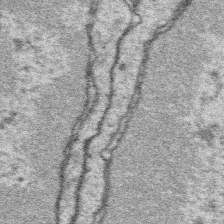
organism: Platynereis dumerilii